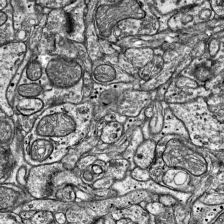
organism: Mouse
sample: Visual Cortex